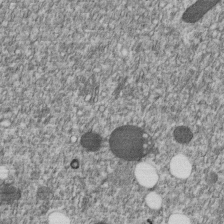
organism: C. elegans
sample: C. elegans embryo early stage